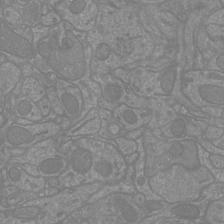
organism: Mouse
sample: Cortical neurons